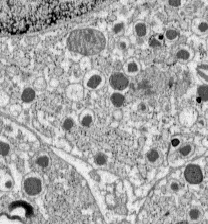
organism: C57BL Mouse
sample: Pancreatic islet